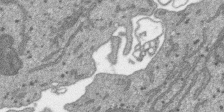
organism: Human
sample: Lung epithelial cells infected with SARS-CoV-2